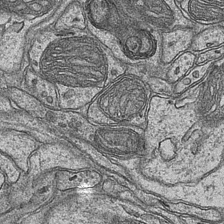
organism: Mouse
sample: CA1 Hippocampus